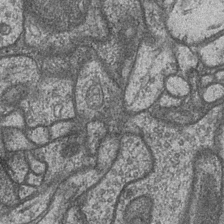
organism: Drosophila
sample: Optic medulla